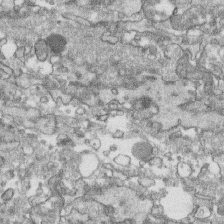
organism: Human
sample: CRL-1474